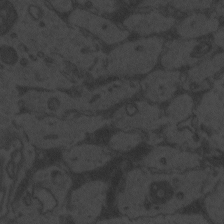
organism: Zebrafish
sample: Macrophage infected with Toxoplasma gondii